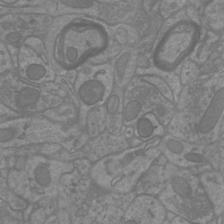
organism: Mouse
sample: Cortical neurons